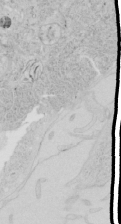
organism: Human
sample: Mitochondria in HCT116 cells